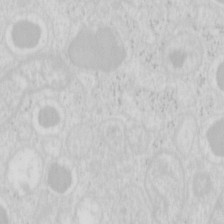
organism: Mouse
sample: Pancreas